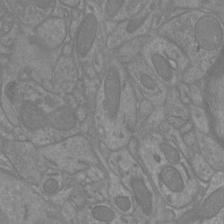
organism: Mouse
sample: Cortical neurons